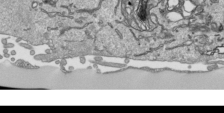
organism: Human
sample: Mitochondria in HCT116 cells